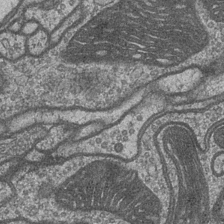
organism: Drosophila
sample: Optic medulla